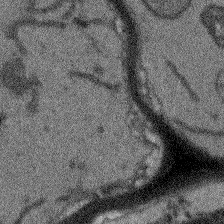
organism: Arabidopsis thaliana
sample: Root tip